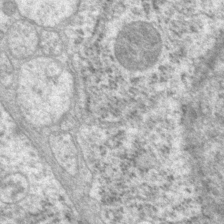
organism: P. pacificus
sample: Pharynx